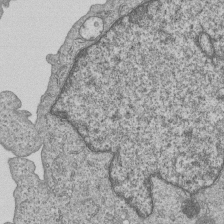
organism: Human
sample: MDA-MB-231 cells